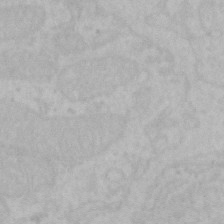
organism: Mouse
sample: Choroid plexus